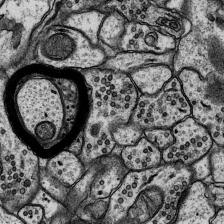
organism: Rat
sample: Hippocampus